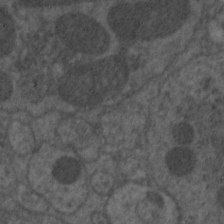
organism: C. elegans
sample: Pharynx